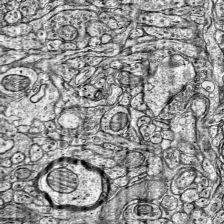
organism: Mouse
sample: Visual Cortex